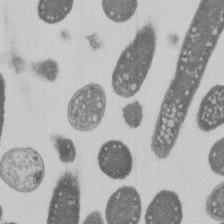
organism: E. coli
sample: Bacterial nucleoid